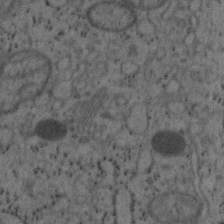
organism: Human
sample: HeLa cells